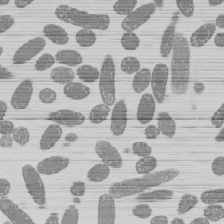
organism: E. coli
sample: Bacterial nucleoid